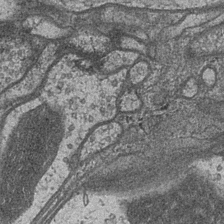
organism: Drosophila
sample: Optic medulla